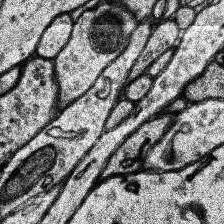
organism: Human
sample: Temporal Lobe